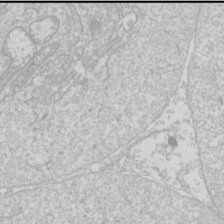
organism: Drosophila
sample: Cell division; meiosis; drosophila spermatocytes